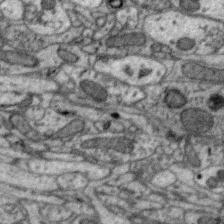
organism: Zebra finch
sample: Brain